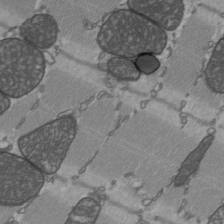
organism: C57BL Mouse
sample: Heart